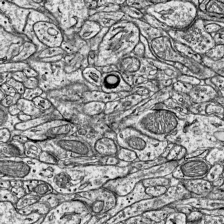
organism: Mouse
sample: Visual Cortex